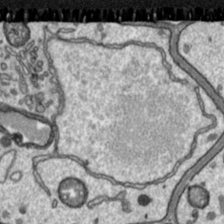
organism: Toxoplasma gondii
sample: Parasites in a vacuole inside a host cell